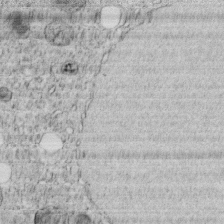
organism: C. elegans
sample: C. elegans embryo early stage